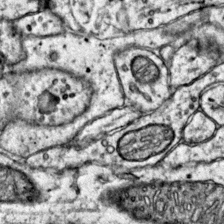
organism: Mouse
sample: Primary visual cortex